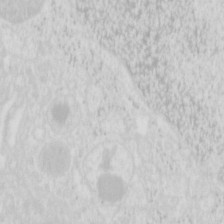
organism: Mouse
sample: Pancreas